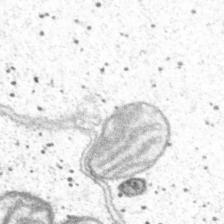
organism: Human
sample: HeLa cells